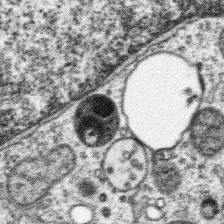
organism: Human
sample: HeLa cells